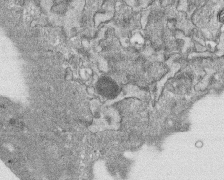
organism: Human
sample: CRL-1474